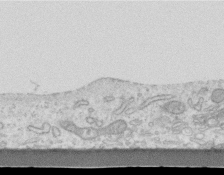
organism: Mouse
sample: Centriole in ependymal cells